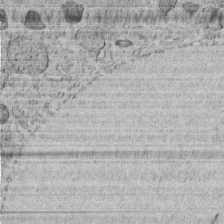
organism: C. elegans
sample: C. elegans embryo early stage